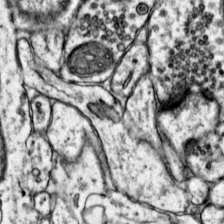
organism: Mouse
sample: Primary visual cortex